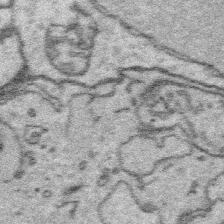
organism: Platynereis dumerilii